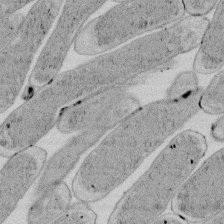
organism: E. coli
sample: Bacterial nucleoid